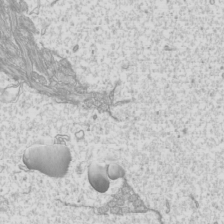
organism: Mouse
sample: Cilia; mouse epididymis